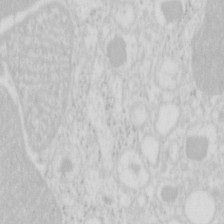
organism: Mouse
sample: Pancreas